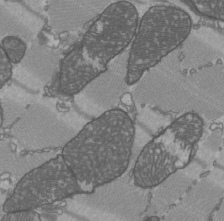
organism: C57BL Mouse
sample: Heart